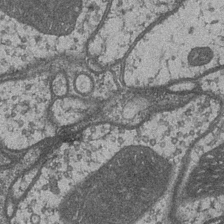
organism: Drosophila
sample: Optic medulla